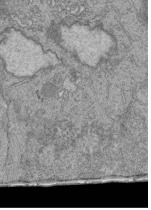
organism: Human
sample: Retinal organoid Rod and Cone cells